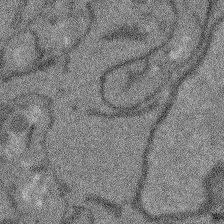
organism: Arabidopsis thaliana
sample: Root tip